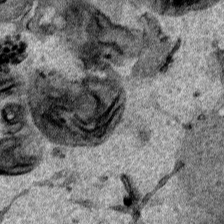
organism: Human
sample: Mitochondria in HCT116 cells